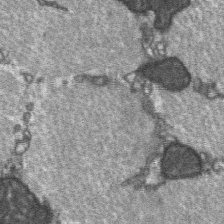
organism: C57BL Mouse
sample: Soleus